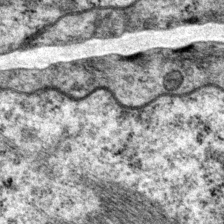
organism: P. pacificus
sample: Pharynx